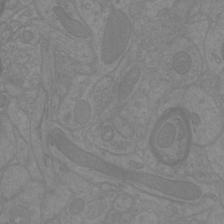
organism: Mouse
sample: Cortical neurons